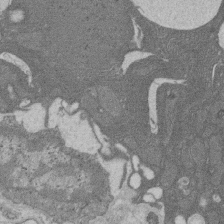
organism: Rat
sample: Salivary granule